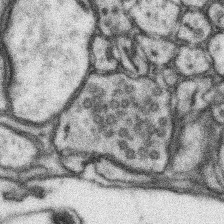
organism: Mouse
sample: Somatosensory cortex neuropil